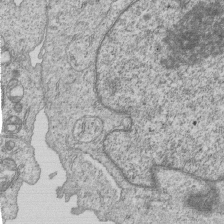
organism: Human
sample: MDA-MB-231 cells